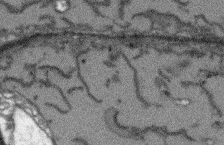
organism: Arabidopsis thaliana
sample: Root tip